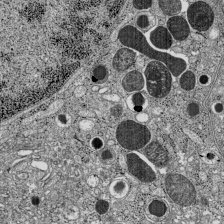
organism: C57BL Mouse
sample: Pancreatic islet